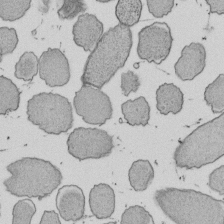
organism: E. coli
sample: Bacterial nucleoid